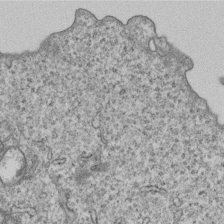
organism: Human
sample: MDA-MB-231 cells